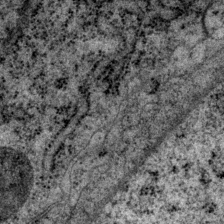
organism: P. pacificus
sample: Pharynx